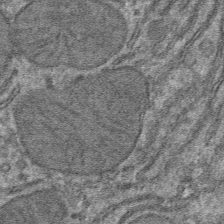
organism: Mouse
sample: Mouse hepatocytes